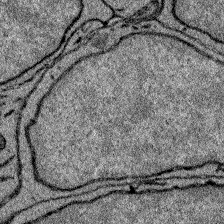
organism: Zebrafish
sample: Larval olfactory bulb